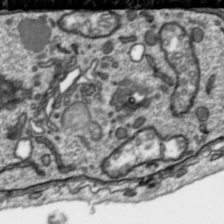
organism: Toxoplasma gondii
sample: Parasites in a vacuole inside a host cell